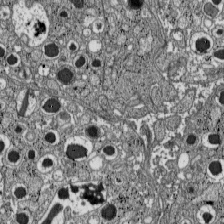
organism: C57BL Mouse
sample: Pancreatic islet